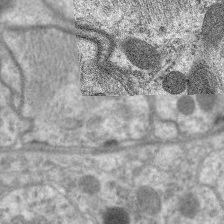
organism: C. elegans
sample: Pharynx